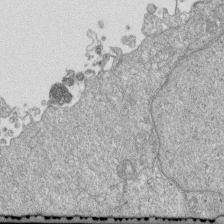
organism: Human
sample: HeLa cell HIV synapse